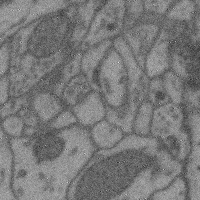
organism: Mouse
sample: Cerebral cortex